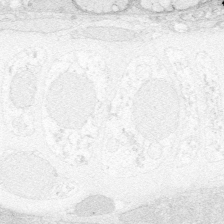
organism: Zebrafish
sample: Whole-Brain